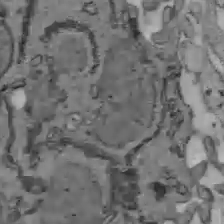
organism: C57BL Mouse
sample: Liver